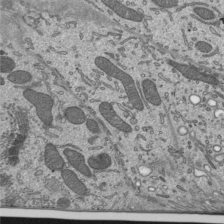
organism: Mouse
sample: Mouse epididymis efferent ductule cilia